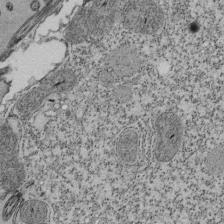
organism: Tetrahymena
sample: Cilia in tetrahymena